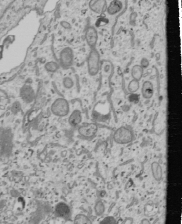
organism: Human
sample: Mitochondria in U2OS cells